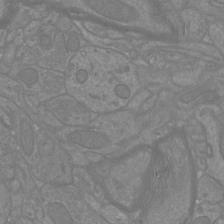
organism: Mouse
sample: Cortical neurons